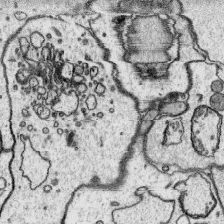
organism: Platynereis dumerilii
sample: Parapodia